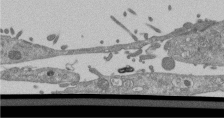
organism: Mouse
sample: ED-1 cell nuclei; centrioles